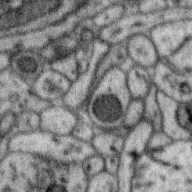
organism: Zebra finch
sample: Brain